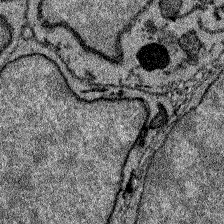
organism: Zebrafish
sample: Larval olfactory bulb